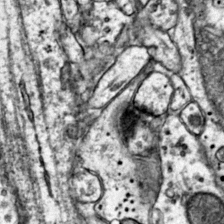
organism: Mouse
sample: Primary visual cortex